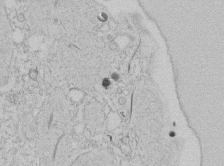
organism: Tetrahymena